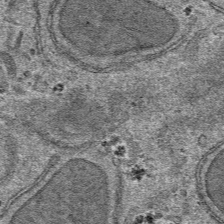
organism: Mouse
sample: Mouse hepatocytes